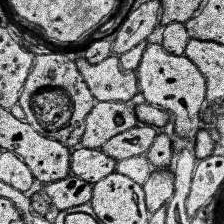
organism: Human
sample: Temporal Lobe